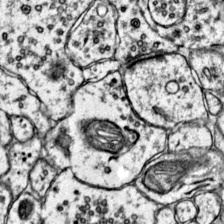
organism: Mouse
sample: Primary visual cortex